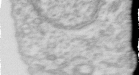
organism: Human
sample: Centriole in RPE cells